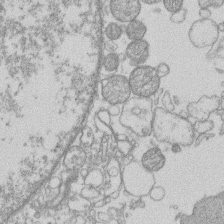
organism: Human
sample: Macrophage cells